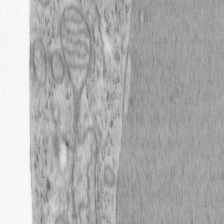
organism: Human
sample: HeLa cells